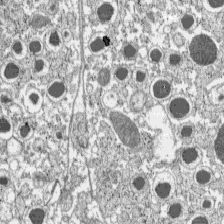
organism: C57BL Mouse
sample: Pancreatic islet